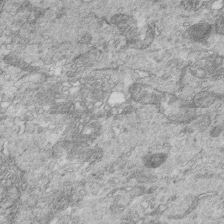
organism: Mouse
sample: Multiciliated cells